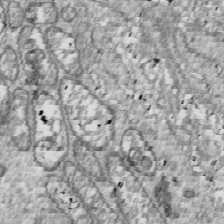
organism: Drosophila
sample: Cell division; meiosis; drosophila spermatocytes